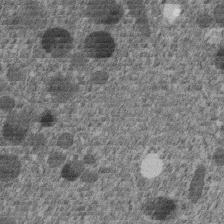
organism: C. elegans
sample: C. elegans embryo early stage